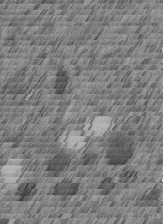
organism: C. elegans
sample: C. elegans embryo early stage